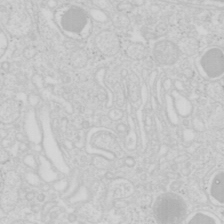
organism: Mouse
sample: Pancreas